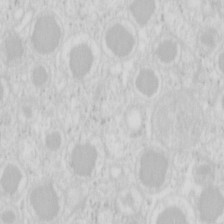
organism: Mouse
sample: Pancreas